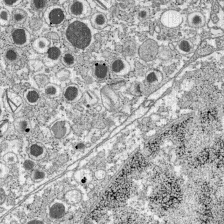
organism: C57BL Mouse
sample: Pancreatic islet